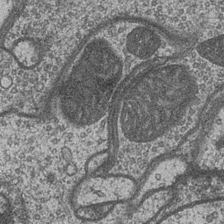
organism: Drosophila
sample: Optic medulla